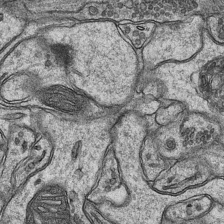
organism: Mouse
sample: CA1 Hippocampus